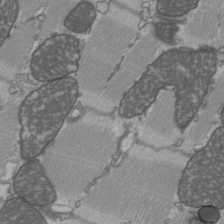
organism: C57BL Mouse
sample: Heart